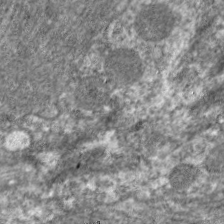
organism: C. elegans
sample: Pharynx